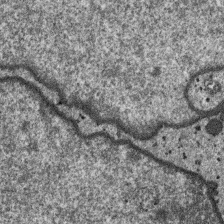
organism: Human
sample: Lung epithelial cells infected with SARS-CoV-2